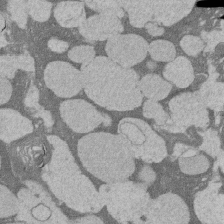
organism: Rat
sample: Salivary granule